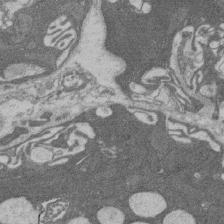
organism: Rat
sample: Salivary granule